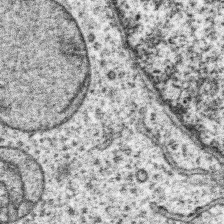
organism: Human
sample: HeLa cells